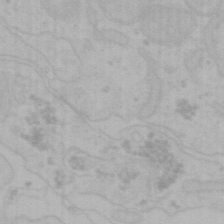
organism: Mouse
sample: Choroid plexus